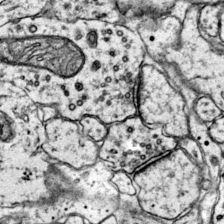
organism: Mouse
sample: Primary visual cortex